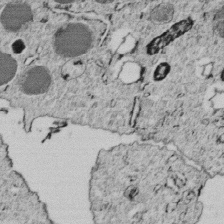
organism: C. elegans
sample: C. elegans embryo early stage